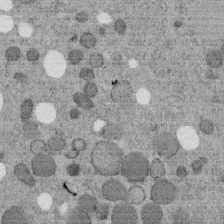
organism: C. elegans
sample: C. elegans embryo early stage